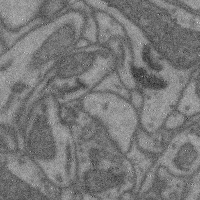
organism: Mouse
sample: Cerebral cortex